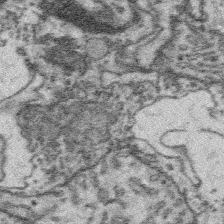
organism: Platynereis dumerilii